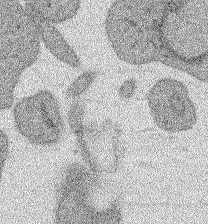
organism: Human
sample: HeLa cells